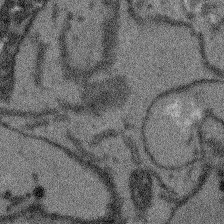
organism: Arabidopsis thaliana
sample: Root tip